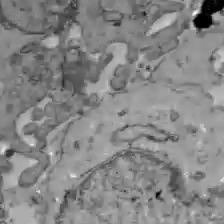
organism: C57BL Mouse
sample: Liver